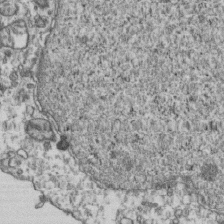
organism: Human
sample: Activated Jurkat CD4+ T cells